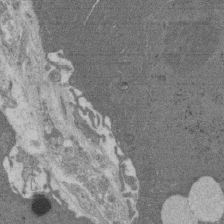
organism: Rat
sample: Salivary granule